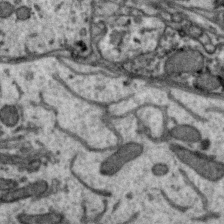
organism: Zebra finch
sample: Brain